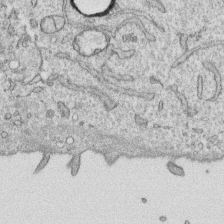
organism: Human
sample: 1205lu cells